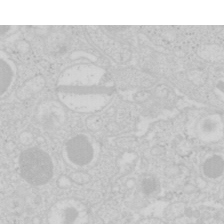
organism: Mouse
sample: Pancreas